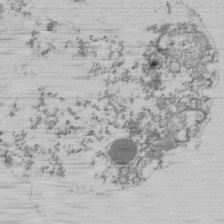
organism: Mouse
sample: Activated Pmel transgenic CD8+ T Cells